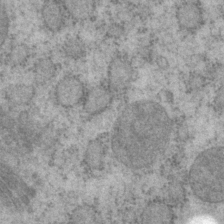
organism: P. pacificus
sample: Pharynx